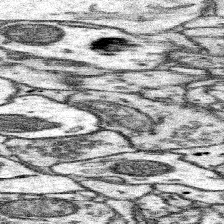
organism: Mouse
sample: Somatosensory cortex neuropil